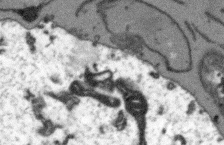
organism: Arabidopsis thaliana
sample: Root tip